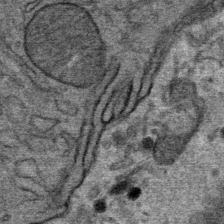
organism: Mouse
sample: Mouse Salivary gland